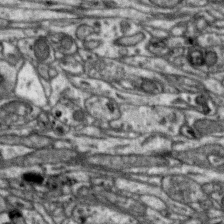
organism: Zebra finch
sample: Brain